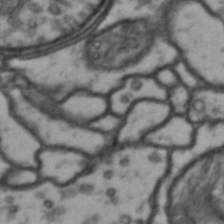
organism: Drosophila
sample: Brain